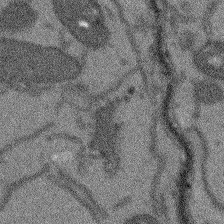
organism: Arabidopsis thaliana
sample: Root tip